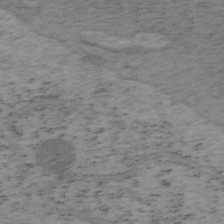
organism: Mouse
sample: OT-I killer T cells with ID8 ovarian cancer cells